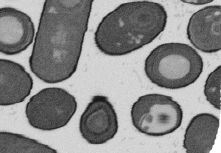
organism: B. subtilis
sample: Bacterial spore